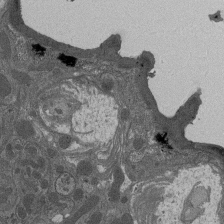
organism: Drosophila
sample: Antenna